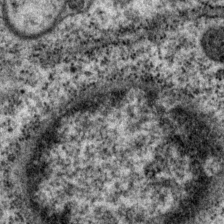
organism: P. pacificus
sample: Pharynx